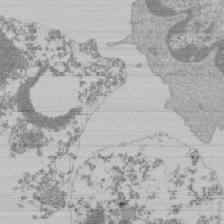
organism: Mouse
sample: Activated Pmel transgenic CD8+ T Cells